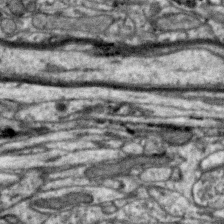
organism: Zebra finch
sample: Brain